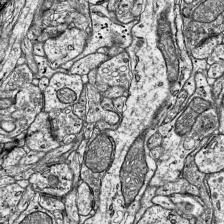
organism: Mouse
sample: Visual Cortex